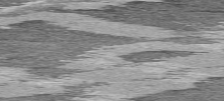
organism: C57BL Mouse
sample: Heart